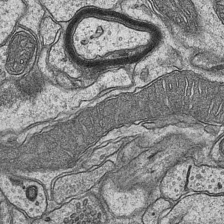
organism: Mouse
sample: CA1 Hippocampus